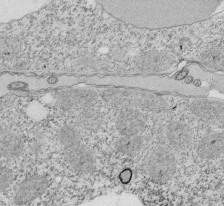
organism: Tetrahymena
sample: Cilia in tetrahymena